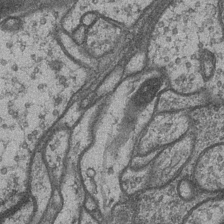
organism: Drosophila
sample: Optic medulla